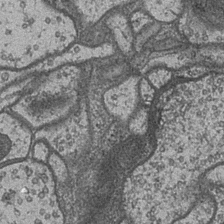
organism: Drosophila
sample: Optic medulla